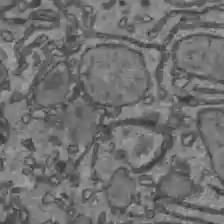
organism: C57BL Mouse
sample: Liver